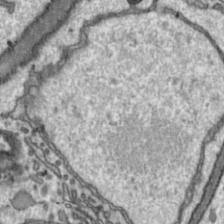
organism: Toxoplasma gondii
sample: Parasites in a vacuole inside a host cell